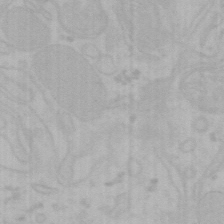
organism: Mouse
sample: Choroid plexus